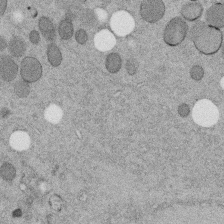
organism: C. elegans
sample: C. elegans embryo early stage